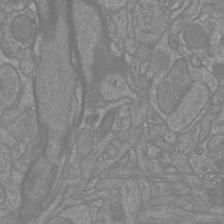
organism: Mouse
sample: Cortical neurons